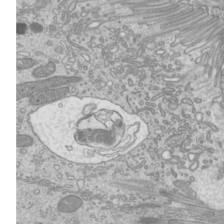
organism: Mouse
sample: Cilia; mouse epididymis